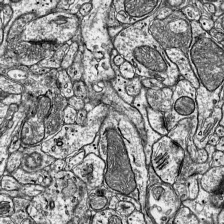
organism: Mouse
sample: Visual Cortex